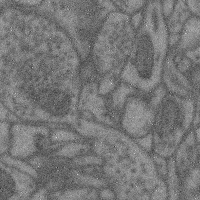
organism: Mouse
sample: Cerebral cortex